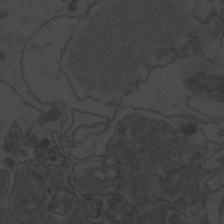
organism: Zebrafish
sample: Macrophage infected with Toxoplasma gondii